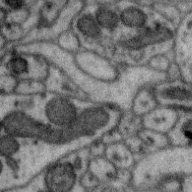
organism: Zebra finch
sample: Brain